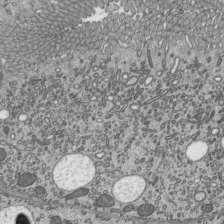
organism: Mouse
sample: Mouse epididymis efferent ductule cilia